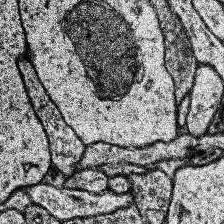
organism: Human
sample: Temporal Lobe